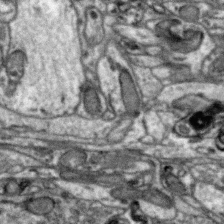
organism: Zebra finch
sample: Brain